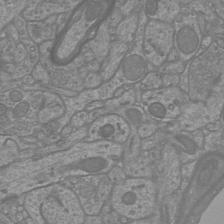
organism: Mouse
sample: Cortical neurons